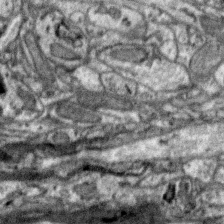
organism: Zebra finch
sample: Brain